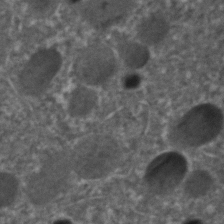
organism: C. elegans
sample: C. elegans embryo